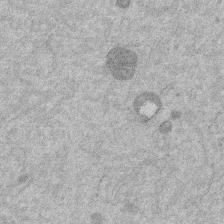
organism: Mouse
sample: Dividing mouse embryo 1 cell stage